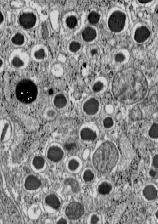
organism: C57BL Mouse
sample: Pancreatic islet